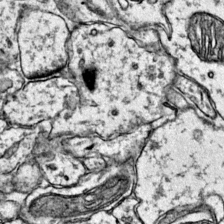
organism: Mouse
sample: Primary visual cortex